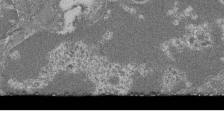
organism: Mouse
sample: Glomerulus